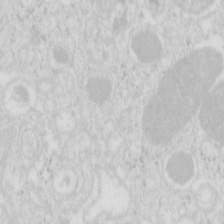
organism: Mouse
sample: Pancreas